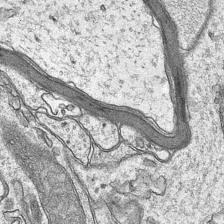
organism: Mouse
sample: CA1 Hippocampus